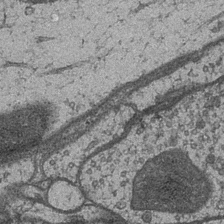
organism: Drosophila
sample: Optic medulla